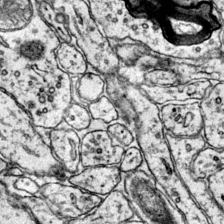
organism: Mouse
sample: Primary visual cortex